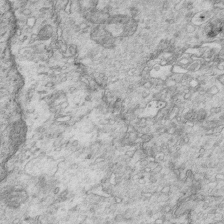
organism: Mouse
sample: Multiciliated cells